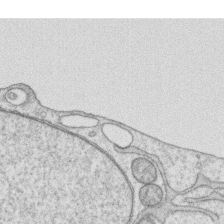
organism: Human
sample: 1205lu cells